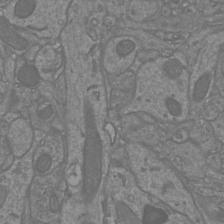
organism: Mouse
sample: Cortical neurons